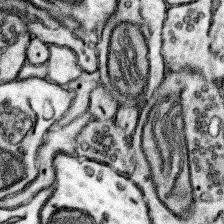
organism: Mouse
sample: Somatosensory cortex neuropil